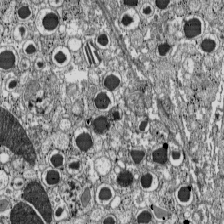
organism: C57BL Mouse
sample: Pancreatic islet